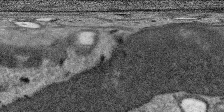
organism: Human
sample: Lung epithelial cells infected with SARS-CoV-2